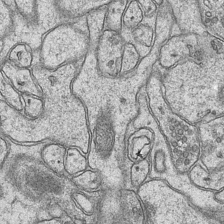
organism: Mouse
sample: CA1 Hippocampus